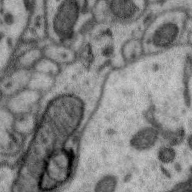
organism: Zebra finch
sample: Brain